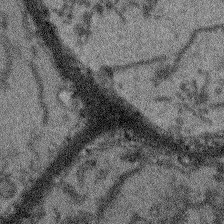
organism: Arabidopsis thaliana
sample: Root tip